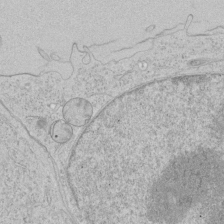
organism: Human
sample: Mitochondria in HCT116 cells